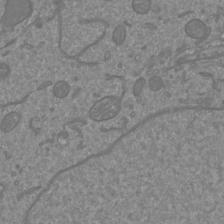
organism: Mouse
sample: Cortical neurons